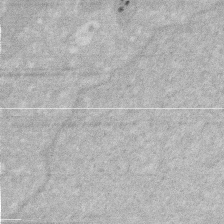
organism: Human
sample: HIV infected U937 cells